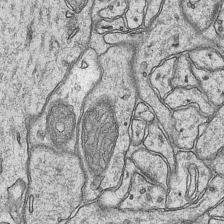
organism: Mouse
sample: CA1 Hippocampus